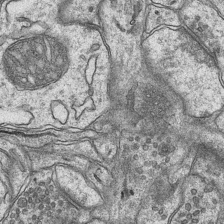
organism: Mouse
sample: CA1 Hippocampus